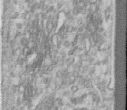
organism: Human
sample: Centriole in RPE cells